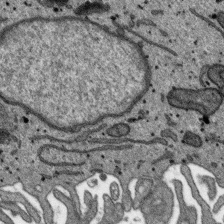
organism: Human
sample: Lung epithelial cells, uninfected (mock) control